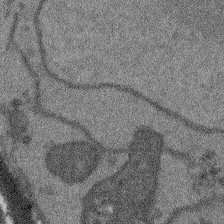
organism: Arabidopsis thaliana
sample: Root tip